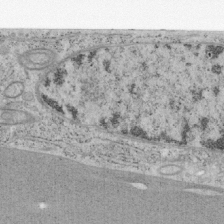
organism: Human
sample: HeLa cells